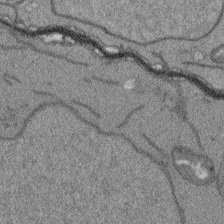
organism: Arabidopsis thaliana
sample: Root tip